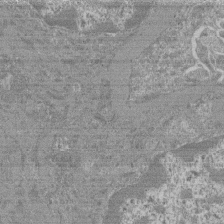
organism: Mouse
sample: Glomerulus